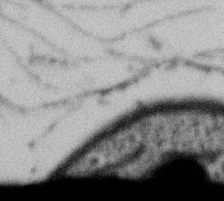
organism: Gemmata obscuriglobus